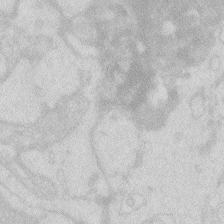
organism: Zebrafish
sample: Macrophage